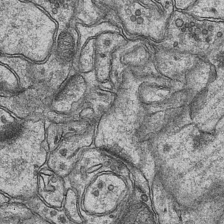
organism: Mouse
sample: CA1 Hippocampus